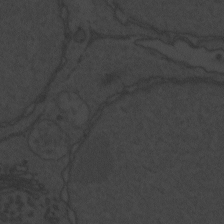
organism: Zebrafish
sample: Macrophage infected with Toxoplasma gondii